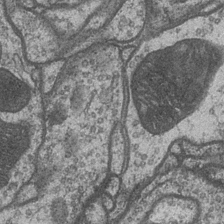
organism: Drosophila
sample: Optic medulla